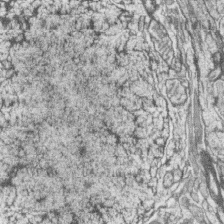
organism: Zebrafish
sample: synaptic ribbons in rod cells and cone cells